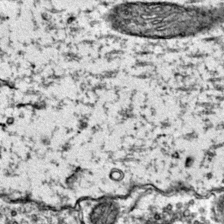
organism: Mouse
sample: Primary visual cortex